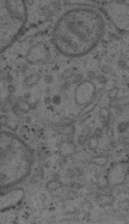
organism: Human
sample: HeLa cells